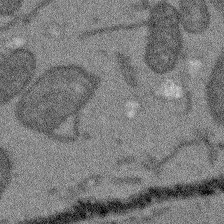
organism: Arabidopsis thaliana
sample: Root tip